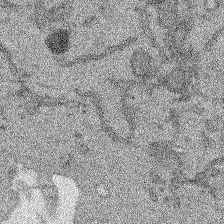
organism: Human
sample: HeLa cells